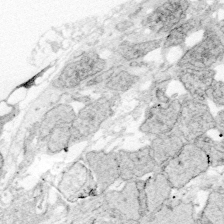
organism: Zebrafish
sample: Whole-Brain